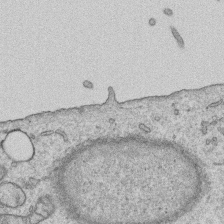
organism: Human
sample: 1205lu cells